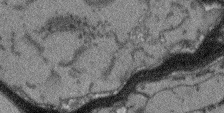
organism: Arabidopsis thaliana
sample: Root tip